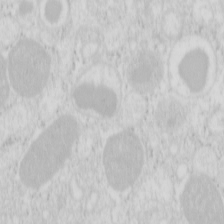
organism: Mouse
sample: Pancreas